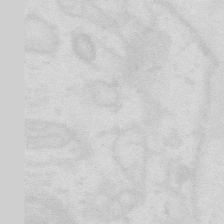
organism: Human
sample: HeLa cells